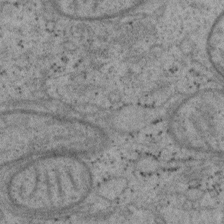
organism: Human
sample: HeLa cells